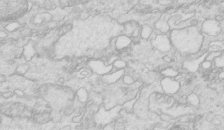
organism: Mouse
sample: Multiciliated cells